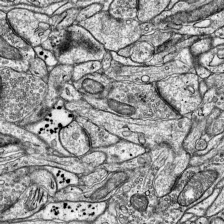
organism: Mouse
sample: Visual Cortex